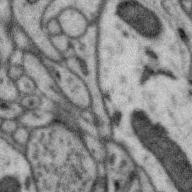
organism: Zebra finch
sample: Brain